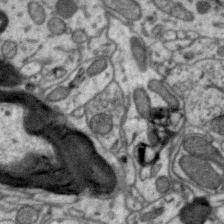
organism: Zebra finch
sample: Brain